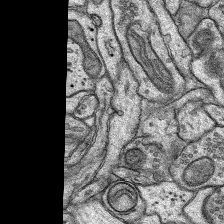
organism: Rat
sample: Hippocampus